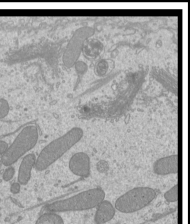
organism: Mouse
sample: Cilia; mouse epididymis